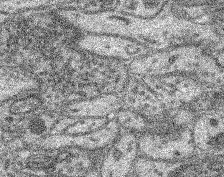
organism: Mouse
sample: Retina